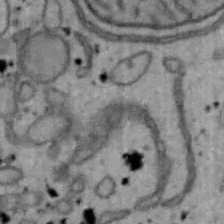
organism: Mouse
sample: Liver